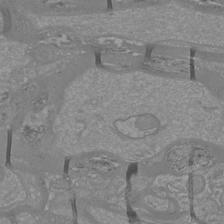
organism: Mouse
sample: Cortical neurons